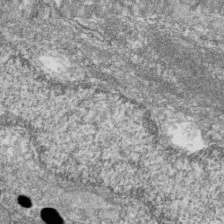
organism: Zebrafish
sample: Cilia; retinal pigment epithelium